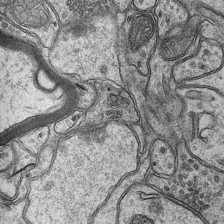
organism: Mouse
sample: CA1 Hippocampus